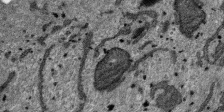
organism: Human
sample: Lung epithelial cells, uninfected (mock) control